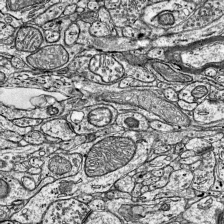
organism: Mouse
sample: Visual Cortex